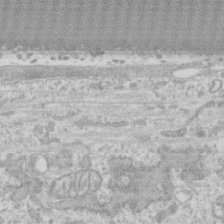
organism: Human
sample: CRL-1474